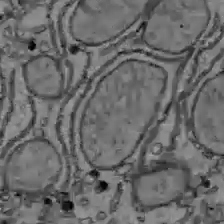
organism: C57BL Mouse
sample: Liver